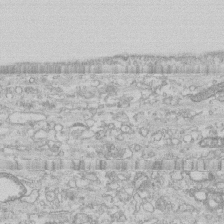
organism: Human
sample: CRL-1474